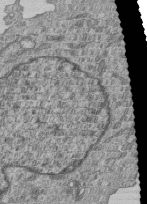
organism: Human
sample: MDA-MB-231 cells